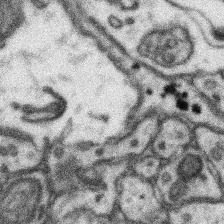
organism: Mouse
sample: Somatosensory cortex neuropil